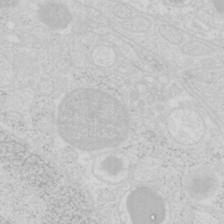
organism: Mouse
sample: Pancreas